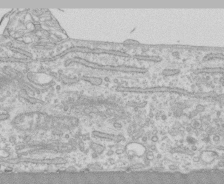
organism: Human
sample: CRL-1474